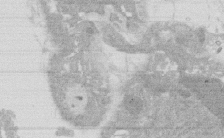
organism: Rat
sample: Salivary granule